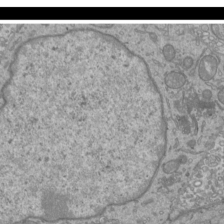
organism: Mouse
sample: Cilia; mouse epididymis